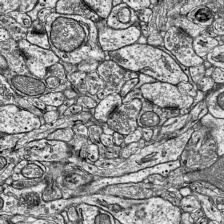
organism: Mouse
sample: Visual Cortex